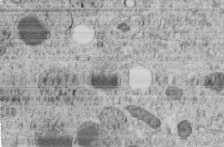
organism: C. elegans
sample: C. elegans embryo early stage